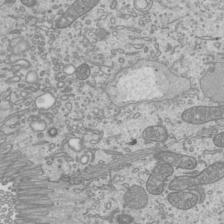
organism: Mouse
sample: Cilia; mouse epididymis